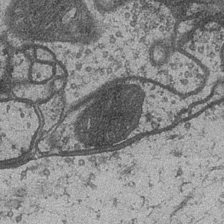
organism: Drosophila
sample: Optic medulla